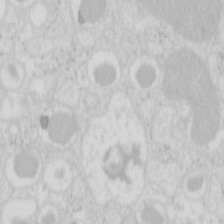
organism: Mouse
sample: Pancreas